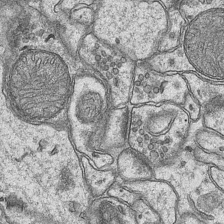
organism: Mouse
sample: CA1 Hippocampus